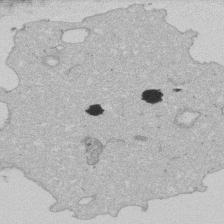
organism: Human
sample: Activated Jurkat CD4+ T cells